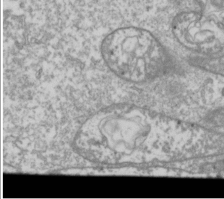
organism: Drosophila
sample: Cell division; meiosis; drosophila spermatocytes